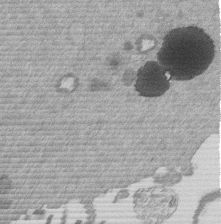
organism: Mouse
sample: Dividing mouse embryo 1 cell stage